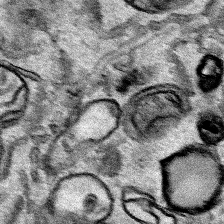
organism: Human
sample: Mitochondria in HCT116 cells